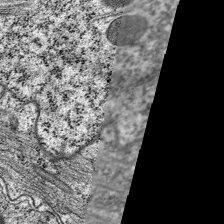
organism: C. elegans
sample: Pharynx